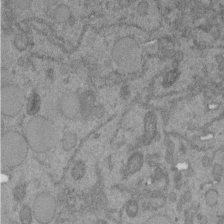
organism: C. elegans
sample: C. elegans embryo early stage